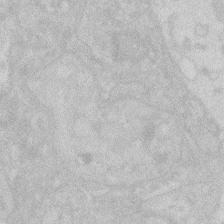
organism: Zebrafish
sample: Macrophage